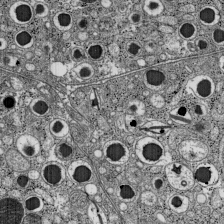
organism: C57BL Mouse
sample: Pancreatic islet